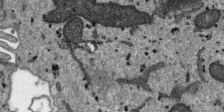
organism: Human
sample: Lung epithelial cells, uninfected (mock) control